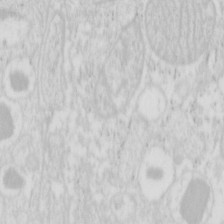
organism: Mouse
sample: Pancreas